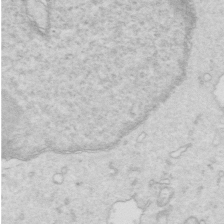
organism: Mouse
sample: Multiciliated cells